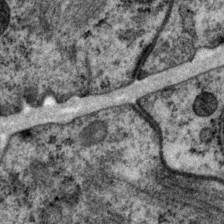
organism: P. pacificus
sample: Pharynx